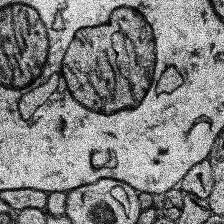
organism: Human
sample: Temporal Lobe